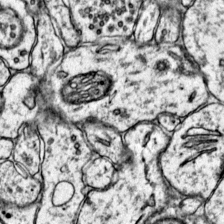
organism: Mouse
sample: Primary visual cortex